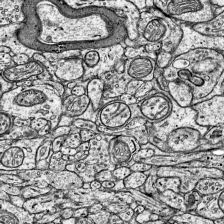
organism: Mouse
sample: Visual Cortex